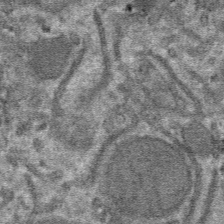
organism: Mouse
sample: Mouse hepatocytes